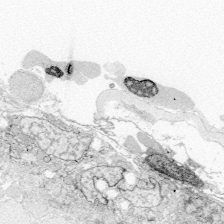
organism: Zebrafish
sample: Whole-Brain